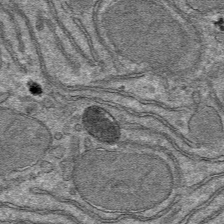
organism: Mouse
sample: Mouse hepatocytes